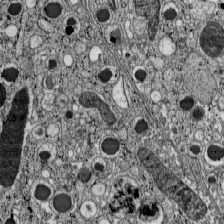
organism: C57BL Mouse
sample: Pancreatic islet